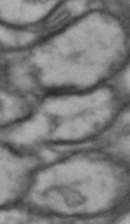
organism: Drosophila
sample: Brain